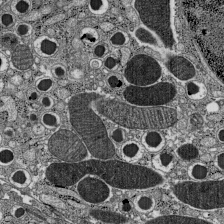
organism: C57BL Mouse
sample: Pancreatic islet